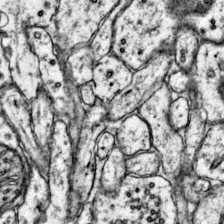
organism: Mouse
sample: Primary visual cortex